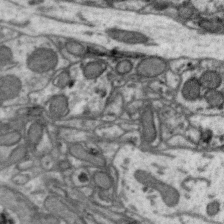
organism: Zebra finch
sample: Brain